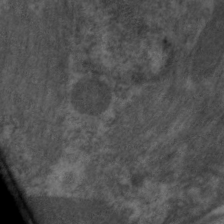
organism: C. elegans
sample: Pharynx